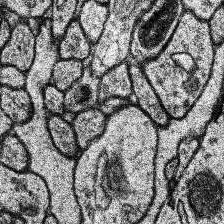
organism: Human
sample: Temporal Lobe